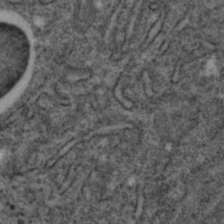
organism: C. elegans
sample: C. elegans embryo